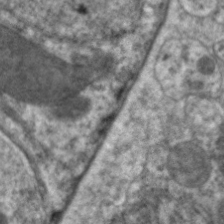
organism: C. elegans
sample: Pharynx